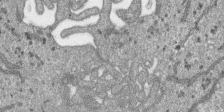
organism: Human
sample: Lung epithelial cells infected with SARS-CoV-2